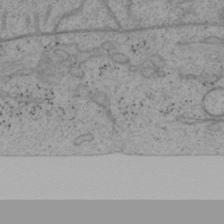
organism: Human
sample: HeLa cells